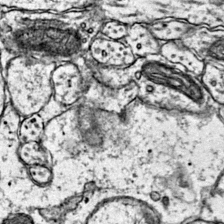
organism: Mouse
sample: Primary visual cortex